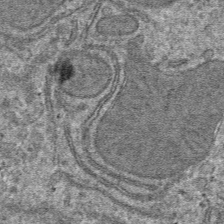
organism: Mouse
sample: Mouse hepatocytes